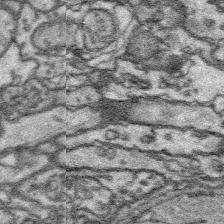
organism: Platynereis dumerilii